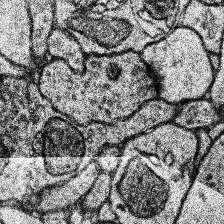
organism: Human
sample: Temporal Lobe